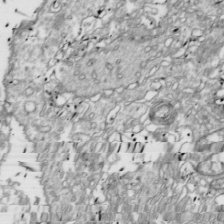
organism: Drosophila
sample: Cell division; meiosis; drosophila spermatocytes